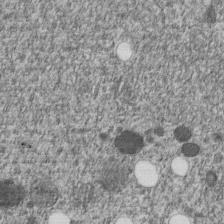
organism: C. elegans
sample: C. elegans embryo early stage